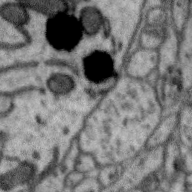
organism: Zebra finch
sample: Brain